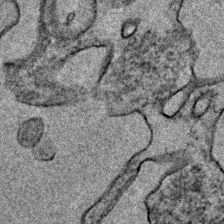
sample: Trachea